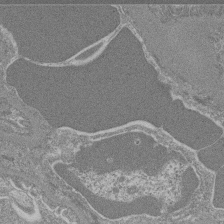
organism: Mouse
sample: Glomerulus